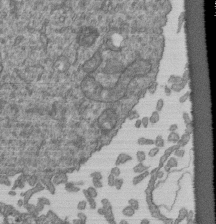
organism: Human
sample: Retinal organoid Rod and Cone cells